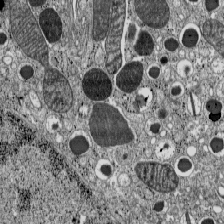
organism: C57BL Mouse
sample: Pancreatic islet